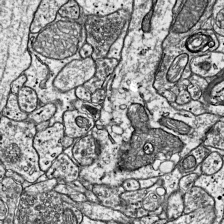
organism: Mouse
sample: Visual Cortex